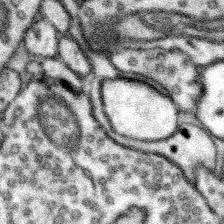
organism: Mouse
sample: Somatosensory cortex neuropil